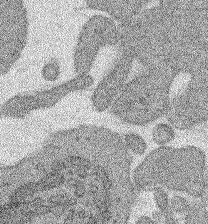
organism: Human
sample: HeLa cells